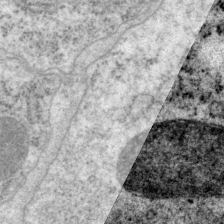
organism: P. pacificus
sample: Pharynx